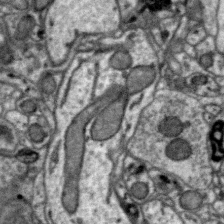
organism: Zebra finch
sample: Brain